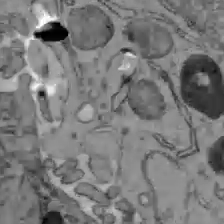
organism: C57BL Mouse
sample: Liver